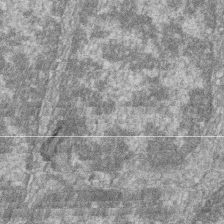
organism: Zebrafish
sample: Cilia; retinal pigment epithelium